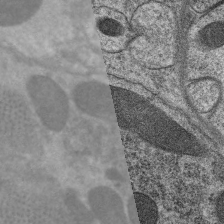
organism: C. elegans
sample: Pharynx